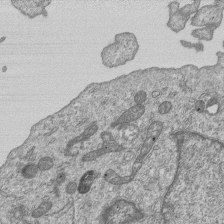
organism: Human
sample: MDA-MB-231 cells